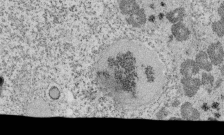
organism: Tetrahymena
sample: Cilia in tetrahymena